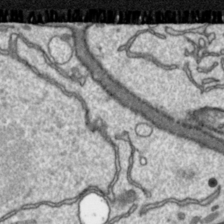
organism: Toxoplasma gondii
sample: Parasites in a vacuole inside a host cell